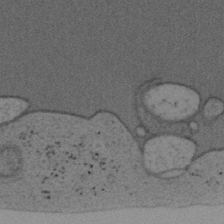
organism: Human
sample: HeLa cells